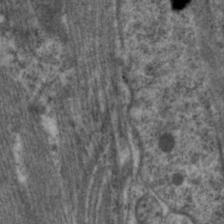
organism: C. elegans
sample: Pharynx